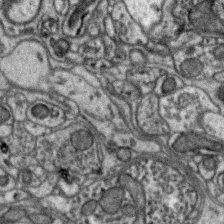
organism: Zebra finch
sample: Brain